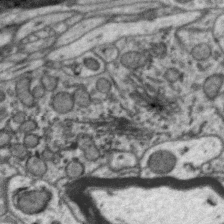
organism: Zebra finch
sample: Brain